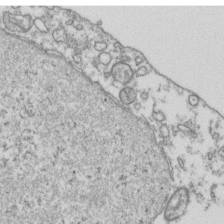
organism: Human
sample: Activated Jurkat CD4+ T cells